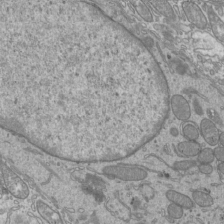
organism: Mouse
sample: Cilia; mouse epididymis